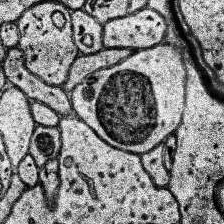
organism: Human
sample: Temporal Lobe